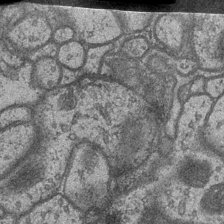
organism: Drosophila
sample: Optic medulla